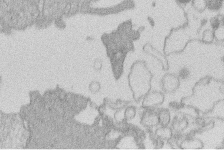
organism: Human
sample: Macrophage cells